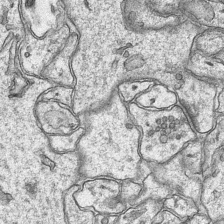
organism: Mouse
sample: CA1 Hippocampus